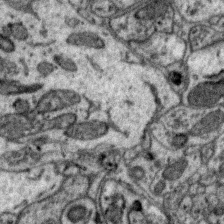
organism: Zebra finch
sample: Brain